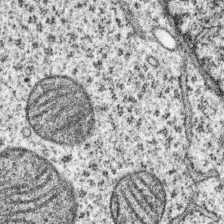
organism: Human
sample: HeLa cells